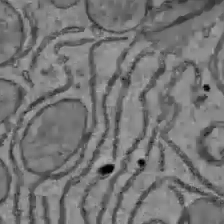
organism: C57BL Mouse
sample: Liver